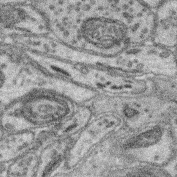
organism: Mouse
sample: Retina